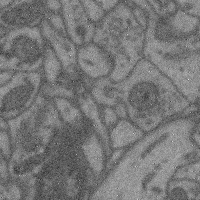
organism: Mouse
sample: Cerebral cortex